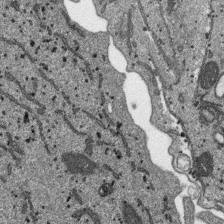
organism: Human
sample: Lung epithelial cells infected with SARS-CoV-2